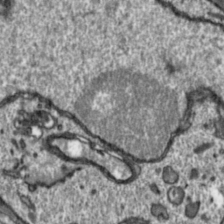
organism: Toxoplasma gondii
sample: Parasites in a vacuole inside a host cell